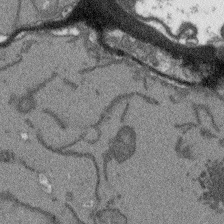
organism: Arabidopsis thaliana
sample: Root tip